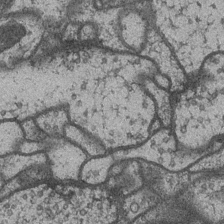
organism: Drosophila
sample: Optic medulla